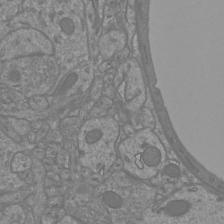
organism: Mouse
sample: Cortical neurons